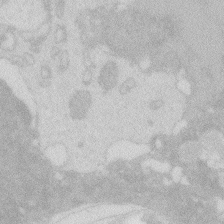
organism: Zebrafish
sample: Macrophage